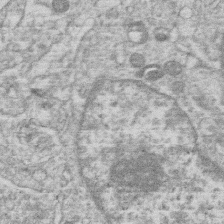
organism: Human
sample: Macrophage cells